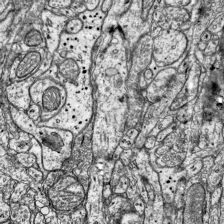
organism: Mouse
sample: Visual Cortex